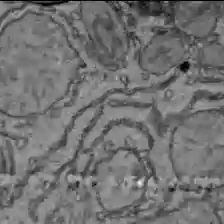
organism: C57BL Mouse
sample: Liver